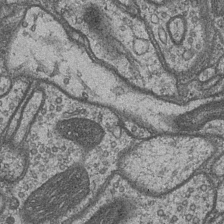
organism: Drosophila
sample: Optic medulla